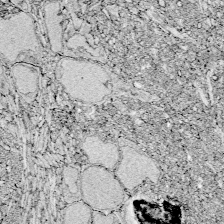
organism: Zebrafish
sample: Whole-Brain